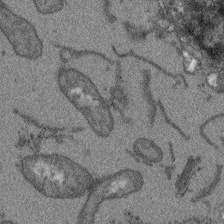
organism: Arabidopsis thaliana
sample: Root tip